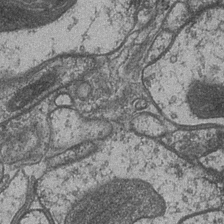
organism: Drosophila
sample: Optic medulla